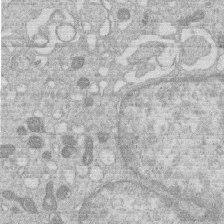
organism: Human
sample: Macrophage cells